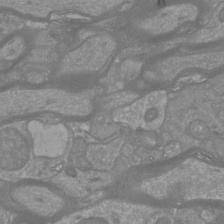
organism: Mouse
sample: Cortical neurons